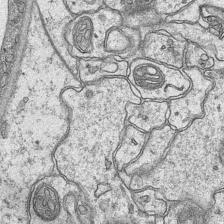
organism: Mouse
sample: CA1 Hippocampus